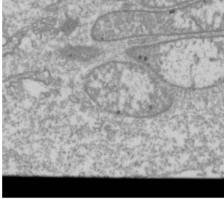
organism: Drosophila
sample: Cell division; meiosis; drosophila spermatocytes